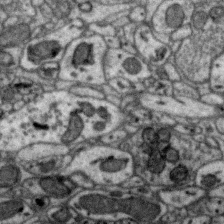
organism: Zebra finch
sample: Brain